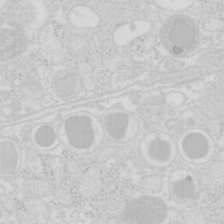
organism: Mouse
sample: Pancreas